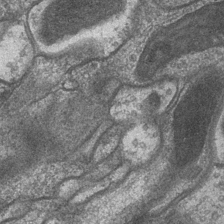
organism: Drosophila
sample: Optic medulla